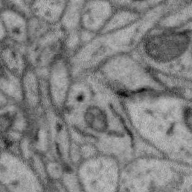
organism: Zebra finch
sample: Brain